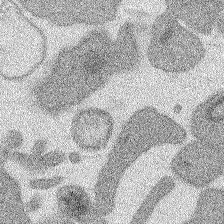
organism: Human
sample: HeLa cells